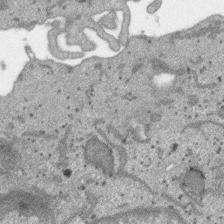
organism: Human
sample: Lung epithelial cells infected with SARS-CoV-2